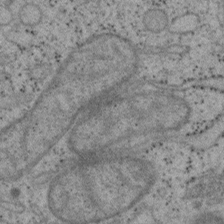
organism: Human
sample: HeLa cells